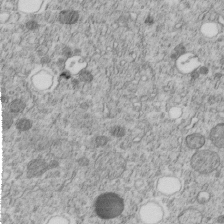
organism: C. elegans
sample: C. elegans embryo early stage